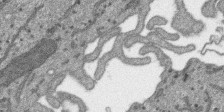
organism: Human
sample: Lung epithelial cells infected with SARS-CoV-2